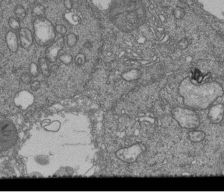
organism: Human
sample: Retinal organoid Rod and Cone cells